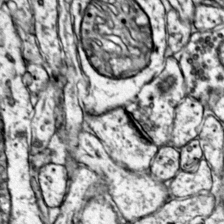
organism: Mouse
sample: Primary visual cortex